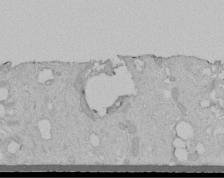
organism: Human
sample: Melanocyte Keratinocyte synapse skin construct